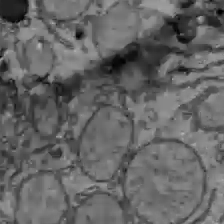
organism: C57BL Mouse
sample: Liver